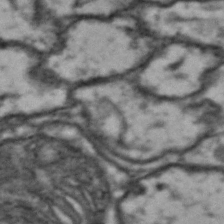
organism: Drosophila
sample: Brain